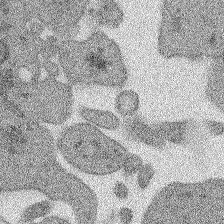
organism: Human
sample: HeLa cells